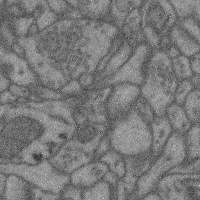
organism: Mouse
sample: Cerebral cortex